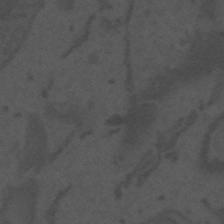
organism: Mouse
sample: Suprachiasmatic nucleus